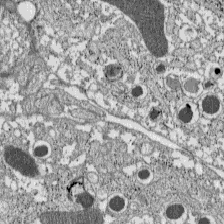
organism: C57BL Mouse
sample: Pancreatic islet